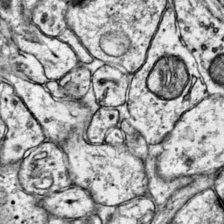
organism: Mouse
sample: Primary visual cortex